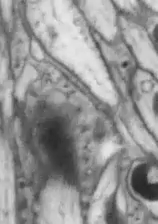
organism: Drosophila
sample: Optic lobe